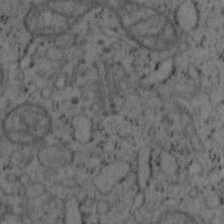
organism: Human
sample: HeLa cells